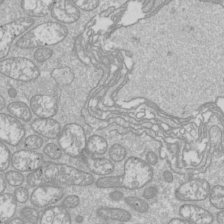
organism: Drosophila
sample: Cell division; meiosis; drosophila spermatocytes